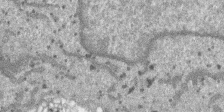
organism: Human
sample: Lung epithelial cells infected with SARS-CoV-2